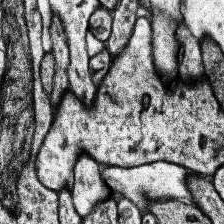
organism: Human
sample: Temporal Lobe